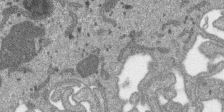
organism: Human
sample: Lung epithelial cells infected with SARS-CoV-2